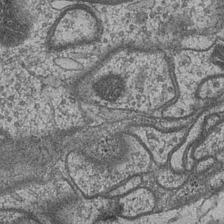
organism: Drosophila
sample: Optic medulla